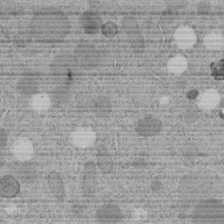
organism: C. elegans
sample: C. elegans embryo early stage